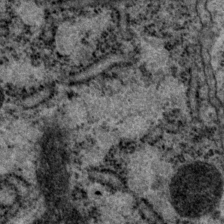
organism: P. pacificus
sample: Pharynx